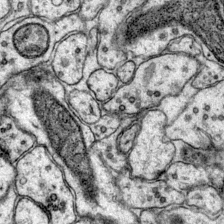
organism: Mouse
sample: Primary visual cortex